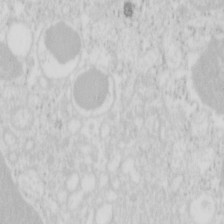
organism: Mouse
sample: Pancreas